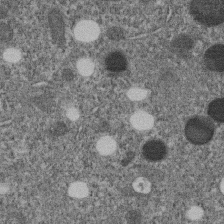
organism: C. elegans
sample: C. elegans embryo early stage